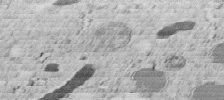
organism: C. elegans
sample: C. elegans embryo early stage